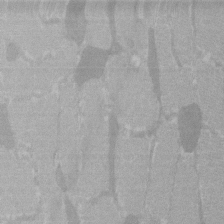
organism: C57BL Mouse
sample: Tibialis anterior muscle cell